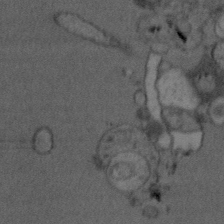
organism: Human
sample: HeLa cells